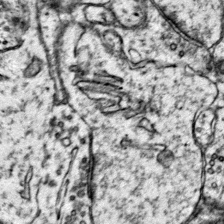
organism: Mouse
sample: Primary visual cortex